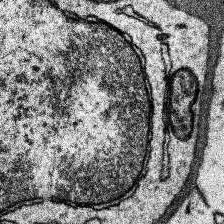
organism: Human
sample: Temporal Lobe